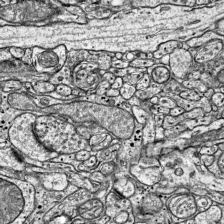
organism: Mouse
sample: Visual Cortex